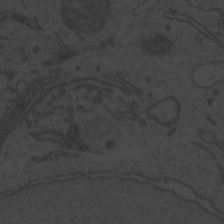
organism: Zebrafish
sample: Macrophage infected with Toxoplasma gondii